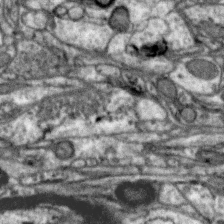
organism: Zebra finch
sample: Brain